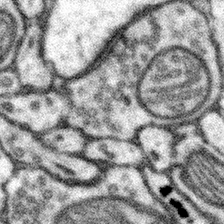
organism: Mouse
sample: Somatosensory cortex neuropil